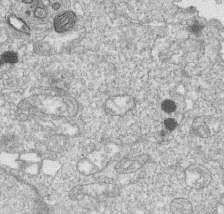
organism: Human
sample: HeLa cell HIV synapse